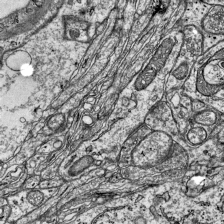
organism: Mouse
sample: Visual Cortex